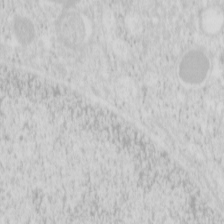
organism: Mouse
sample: Pancreas